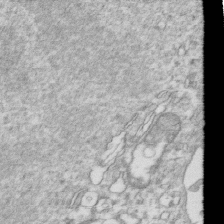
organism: Mouse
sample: Activated OT-1 CD8+ T cells